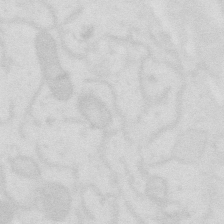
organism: Human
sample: HeLa cells